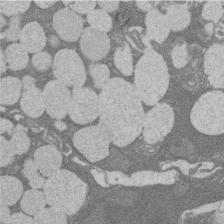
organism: Rat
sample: Salivary granule